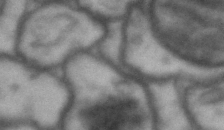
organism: Drosophila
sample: Brain